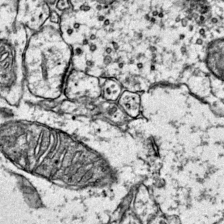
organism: Mouse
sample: Primary visual cortex